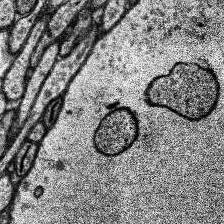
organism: Human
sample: Temporal Lobe